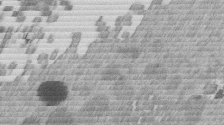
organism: Mouse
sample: Dividing mouse embryo 1 cell stage